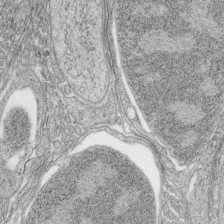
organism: Zebrafish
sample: synaptic ribbons in rod cells and cone cells